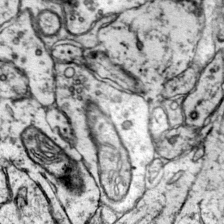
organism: Mouse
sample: Primary visual cortex